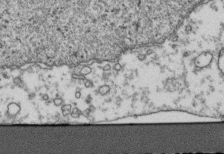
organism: Human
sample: Activated Jurkat CD4+ T cells